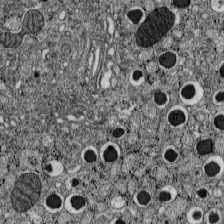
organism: C57BL Mouse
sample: Pancreatic islet